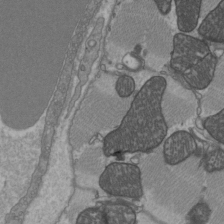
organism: C57BL Mouse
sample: Heart